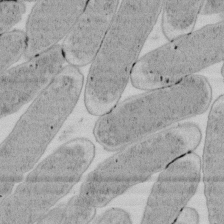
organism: E. coli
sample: Bacterial nucleoid